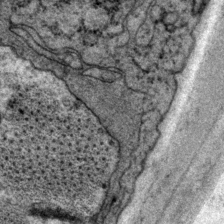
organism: P. pacificus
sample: Pharynx